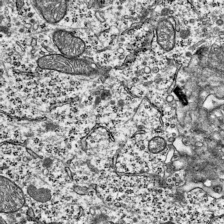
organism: Mouse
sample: Visual Cortex